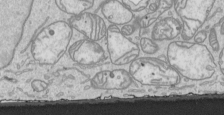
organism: Human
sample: Mitochondria in HCT116 cells